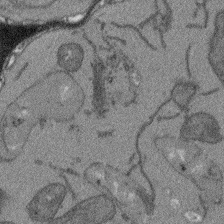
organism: Arabidopsis thaliana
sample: Root tip